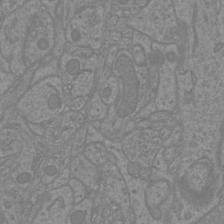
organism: Mouse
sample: Cortical neurons